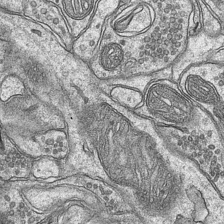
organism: Mouse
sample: CA1 Hippocampus